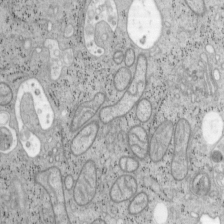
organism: Mouse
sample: OT-I killer T cells with ID8 ovarian cancer cells